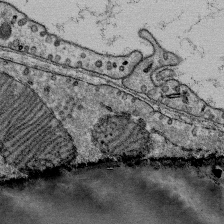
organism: Mouse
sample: Mouse Salivary gland